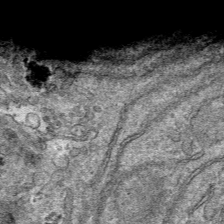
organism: Mouse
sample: Mouse hepatocytes